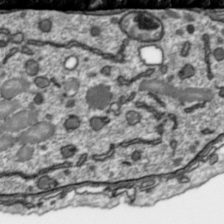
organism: Toxoplasma gondii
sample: Parasites in a vacuole inside a host cell